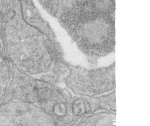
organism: Zebrafish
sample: synaptic ribbons in rod cells and cone cells